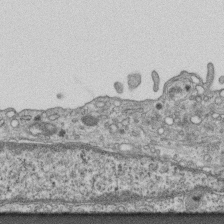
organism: Mouse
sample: Centriole in ependymal cells